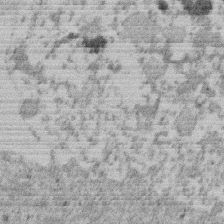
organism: Mouse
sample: Dividing mouse embryo 1 cell stage